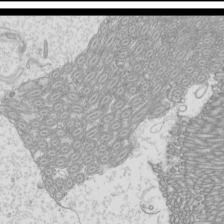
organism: Mouse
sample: Cilia; mouse epididymis